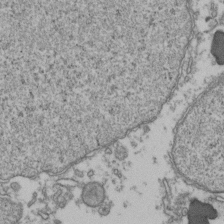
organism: Human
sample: Activated Jurkat CD4+ T cells